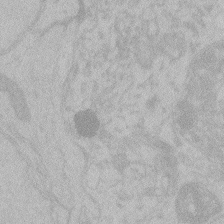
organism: Zebrafish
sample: Macrophage infected with Toxoplasma gondii